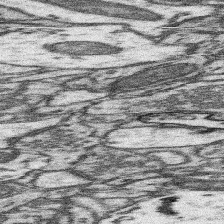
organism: Mouse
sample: Somatosensory cortex neuropil